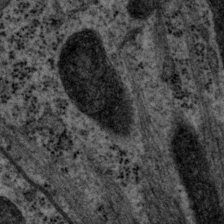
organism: P. pacificus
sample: Pharynx